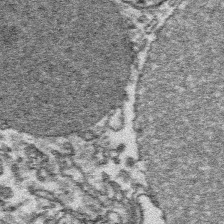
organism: Platynereis dumerilii